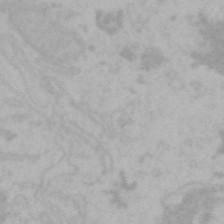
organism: Mouse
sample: Choroid plexus